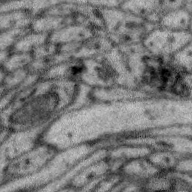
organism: Zebra finch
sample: Brain